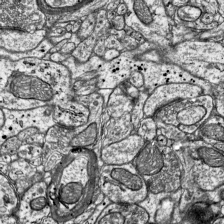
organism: Mouse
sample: Visual Cortex